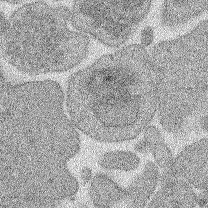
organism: Human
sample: HeLa cells